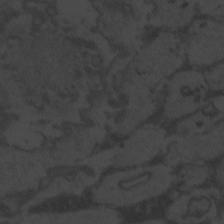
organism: Zebrafish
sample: Macrophage infected with Toxoplasma gondii